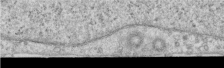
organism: Human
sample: Centriole in RPE cells